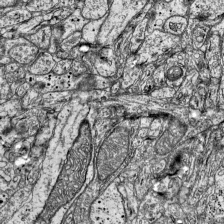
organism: Mouse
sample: Visual Cortex